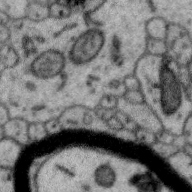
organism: Zebra finch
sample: Brain